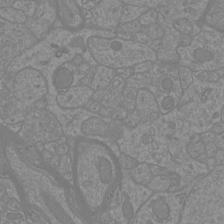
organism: Mouse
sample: Cortical neurons